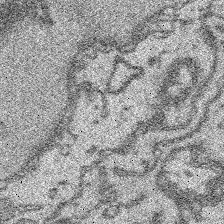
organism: Platynereis dumerilii